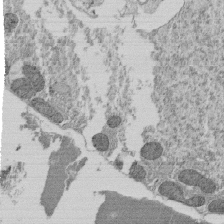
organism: Tetrahymena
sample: Cilia in tetrahymena